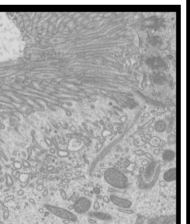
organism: Mouse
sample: Cilia; mouse epididymis